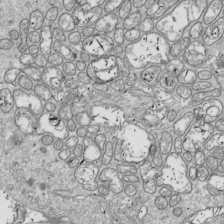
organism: Drosophila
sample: Cell division; meiosis; drosophila spermatocytes